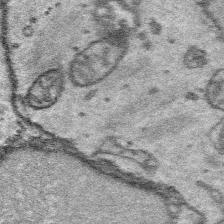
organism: Platynereis dumerilii